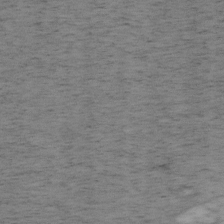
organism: Mouse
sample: OT-I killer T cells with ID8 ovarian cancer cells